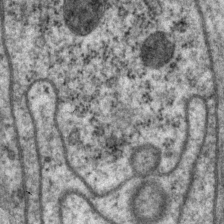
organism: P. pacificus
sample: Pharynx